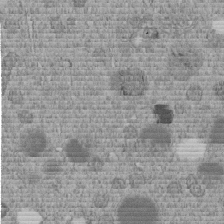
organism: C. elegans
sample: C. elegans embryo early stage